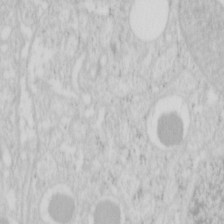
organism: Mouse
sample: Pancreas